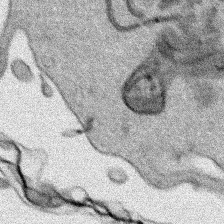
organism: Human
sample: Mitochondria in HCT116 cells